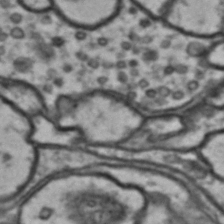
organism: Drosophila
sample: Brain